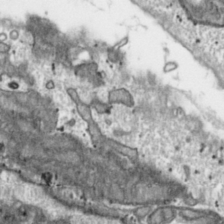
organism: Toxoplasma gondii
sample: Parasites in a vacuole inside a host cell